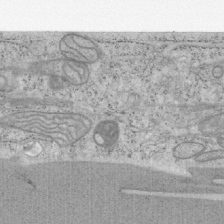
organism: Human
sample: HeLa cells